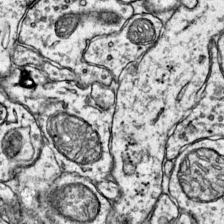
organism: Mouse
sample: Primary visual cortex